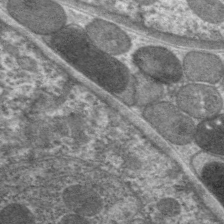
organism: C. elegans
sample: Pharynx